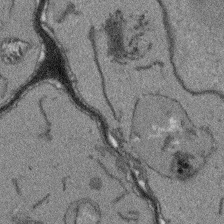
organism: Arabidopsis thaliana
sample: Root tip